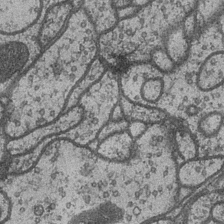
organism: Drosophila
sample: Optic medulla